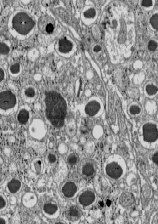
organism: C57BL Mouse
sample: Pancreatic islet